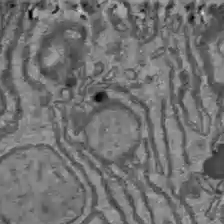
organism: C57BL Mouse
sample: Liver